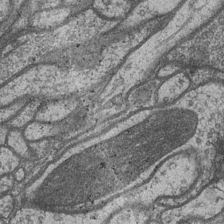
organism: Drosophila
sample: Optic medulla